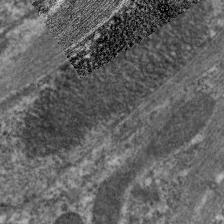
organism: C. elegans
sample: Pharynx